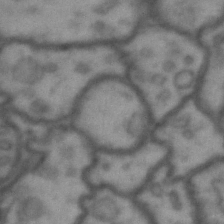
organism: Drosophila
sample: Brain